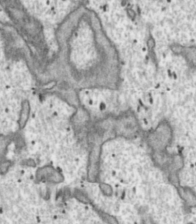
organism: Toxoplasma gondii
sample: Parasites in a vacuole inside a host cell